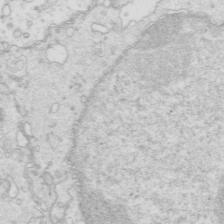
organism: Mouse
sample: Multiciliated cells